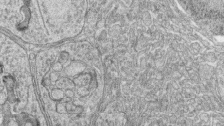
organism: Zebrafish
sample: synaptic ribbons in rod cells and cone cells